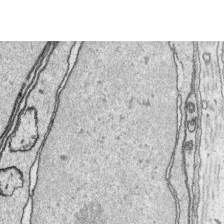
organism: Platynereis dumerilii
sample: Parapodia